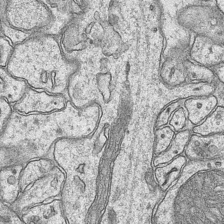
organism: Mouse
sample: CA1 Hippocampus